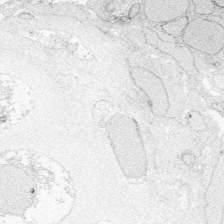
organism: Zebrafish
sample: Whole-Brain